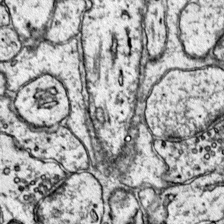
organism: Mouse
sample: Primary visual cortex